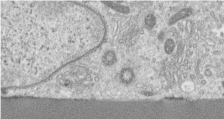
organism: Human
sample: Centriole in RPE cells